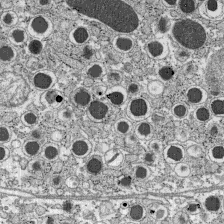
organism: C57BL Mouse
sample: Pancreatic islet